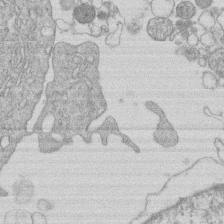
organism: Human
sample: Macrophage cells